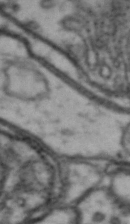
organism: Drosophila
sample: Brain